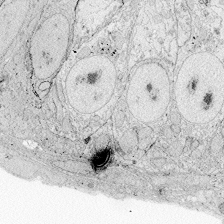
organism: Zebrafish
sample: Whole-Brain